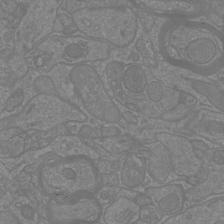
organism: Mouse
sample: Cortical neurons